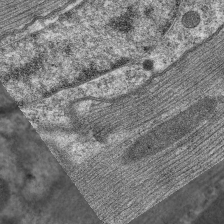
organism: C. elegans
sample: Pharynx